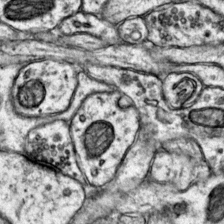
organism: Mouse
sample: Primary visual cortex